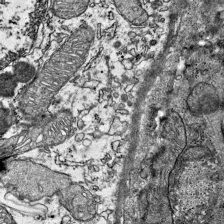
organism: Mouse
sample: Visual Cortex